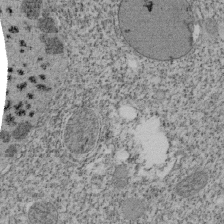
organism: Tetrahymena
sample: Cilia in tetrahymena